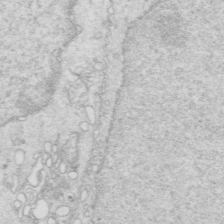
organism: Mouse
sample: Multiciliated cells